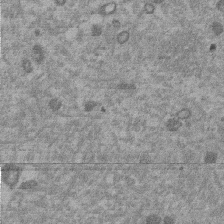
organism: Mouse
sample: Dividing mouse embryo 1 cell stage